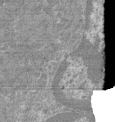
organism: Mouse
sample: Glomerulus